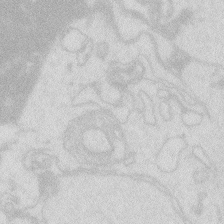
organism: Zebrafish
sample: Macrophage